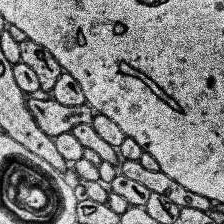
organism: Human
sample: Temporal Lobe